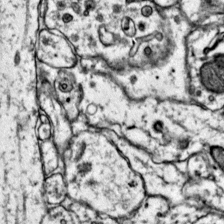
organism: Mouse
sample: Primary visual cortex